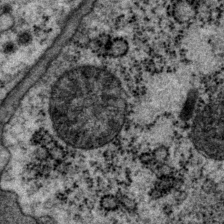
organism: P. pacificus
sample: Pharynx